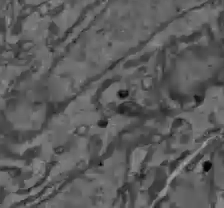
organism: C57BL Mouse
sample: Liver